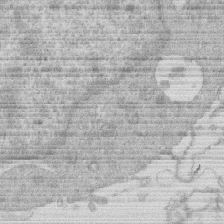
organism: Human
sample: Macrophage cells